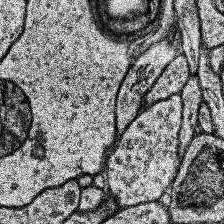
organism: Human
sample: Temporal Lobe